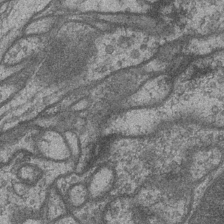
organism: Drosophila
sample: Optic medulla